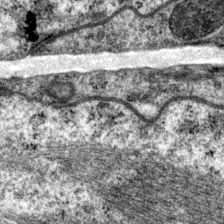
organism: P. pacificus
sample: Pharynx